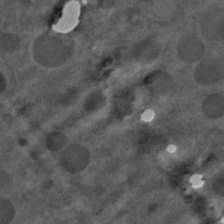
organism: C. elegans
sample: C. elegans embryo